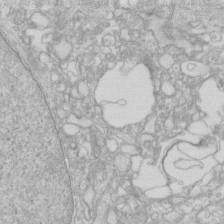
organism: Human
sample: Fibroblast cells